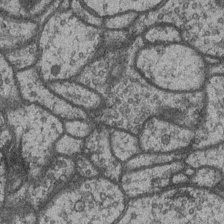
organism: Drosophila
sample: Optic medulla